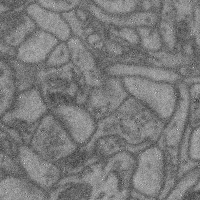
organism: Mouse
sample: Cerebral cortex